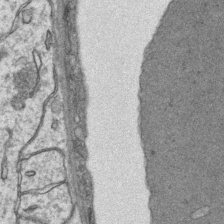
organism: Mouse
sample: CA1 Hippocampus